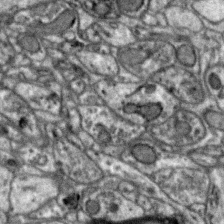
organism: Zebra finch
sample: Brain